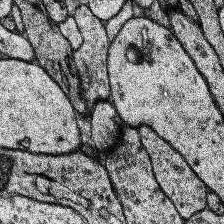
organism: Human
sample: Temporal Lobe